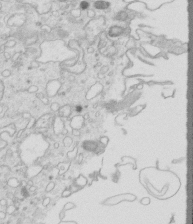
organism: Mouse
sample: Multiciliated cells